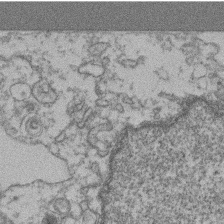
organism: Mouse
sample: T cell stromal cell synapse